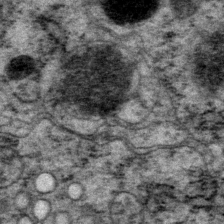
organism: P. pacificus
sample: Pharynx